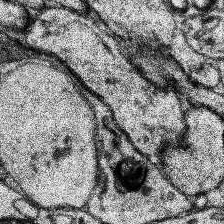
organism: Human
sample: Temporal Lobe